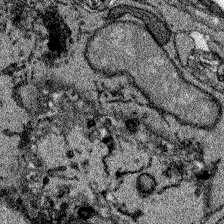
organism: Zebrafish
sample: Larval olfactory bulb